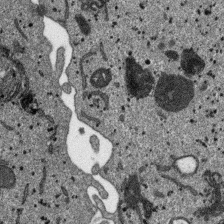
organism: Human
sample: Lung epithelial cells infected with SARS-CoV-2